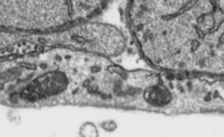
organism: Toxoplasma gondii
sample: Parasites in a vacuole inside a host cell